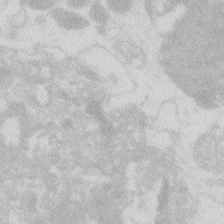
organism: Zebrafish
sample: Macrophage